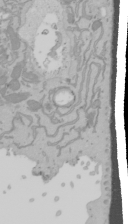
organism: Mouse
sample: Cancer cell death in ED-1 cells